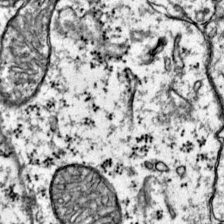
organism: Mouse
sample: Primary visual cortex